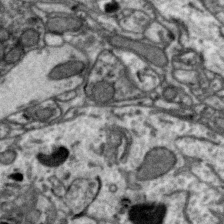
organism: Zebra finch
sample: Brain